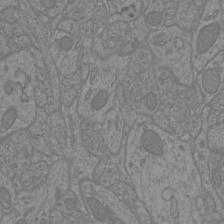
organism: Mouse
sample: Cortical neurons